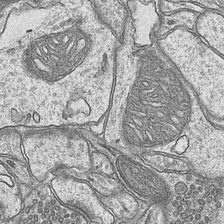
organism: Mouse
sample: CA1 Hippocampus